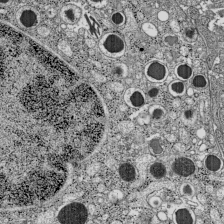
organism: C57BL Mouse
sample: Pancreatic islet